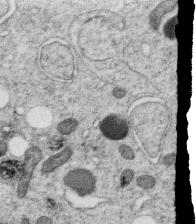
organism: C. elegans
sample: C. elegans oocyte; sperm cells